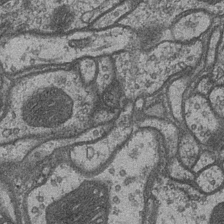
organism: Drosophila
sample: Optic medulla